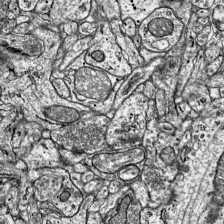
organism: Mouse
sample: Visual Cortex